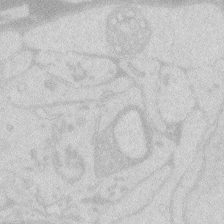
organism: Zebrafish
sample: Macrophage